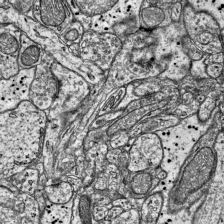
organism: Mouse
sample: Visual Cortex